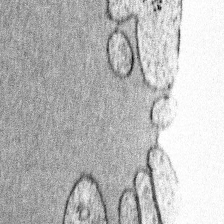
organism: Human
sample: HeLa cells